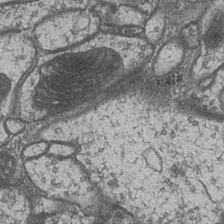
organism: Drosophila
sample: Optic medulla